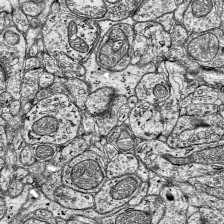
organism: Mouse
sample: Visual Cortex